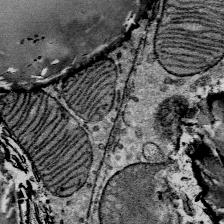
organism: Mouse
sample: Mouse Salivary gland